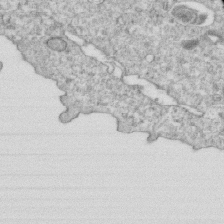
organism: Mouse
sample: Activated OT-1 CD8+ T cells